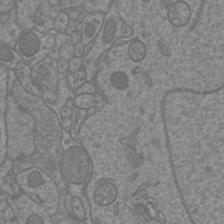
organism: Mouse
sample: Cortical neurons